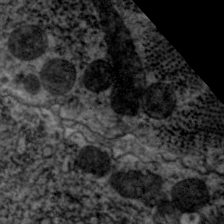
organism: C. elegans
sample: Pharynx